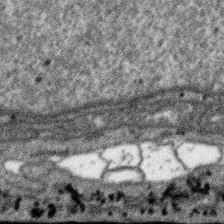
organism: Human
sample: Lung epithelial cells infected with SARS-CoV-2